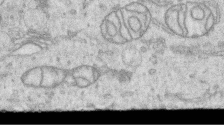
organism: Human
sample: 1205lu cells